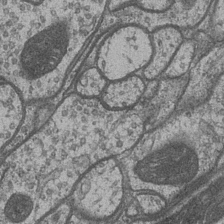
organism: Drosophila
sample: Optic medulla